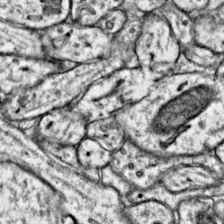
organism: Mouse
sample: Primary visual cortex